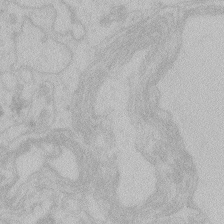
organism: Zebrafish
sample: Macrophage infected with Toxoplasma gondii